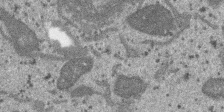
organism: Human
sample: Lung epithelial cells infected with SARS-CoV-2